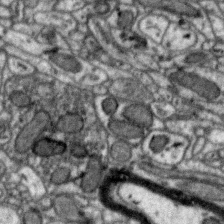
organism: Zebra finch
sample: Brain